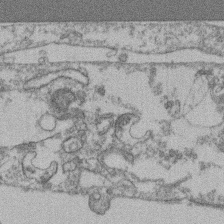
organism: Mouse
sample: T cell stromal cell synapse